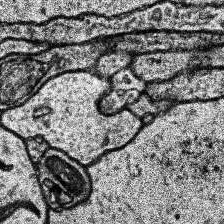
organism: Human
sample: Temporal Lobe